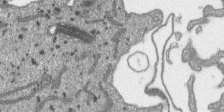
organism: Human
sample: Lung epithelial cells infected with SARS-CoV-2